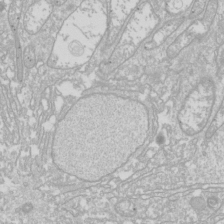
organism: Drosophila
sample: Cell division; meiosis; drosophila spermatocytes